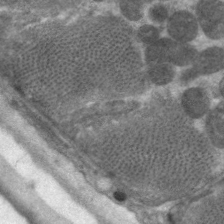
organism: C. elegans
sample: Pharynx